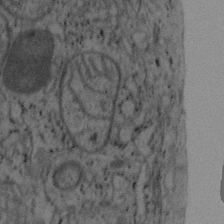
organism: Human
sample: HeLa cells